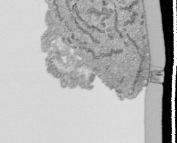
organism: Human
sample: Mitochondria in HCT116 cells